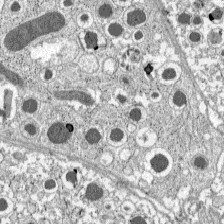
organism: C57BL Mouse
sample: Pancreatic islet